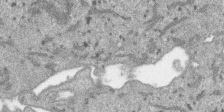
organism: Human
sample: Lung epithelial cells infected with SARS-CoV-2